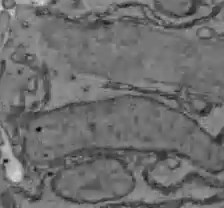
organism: C57BL Mouse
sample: Liver